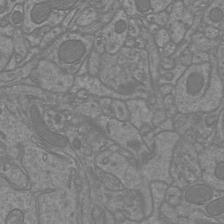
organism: Mouse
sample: Cortical neurons